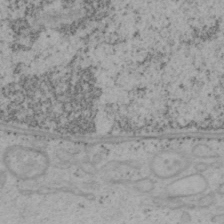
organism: Human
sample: HeLa cells